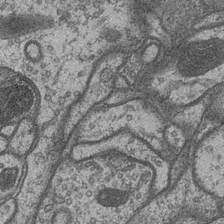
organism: Drosophila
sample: Optic medulla